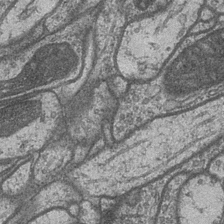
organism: Drosophila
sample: Optic medulla